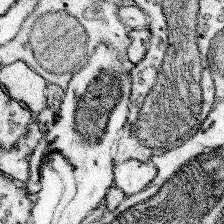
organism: Mouse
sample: Somatosensory cortex neuropil